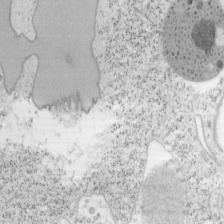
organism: Mouse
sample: OT-I killer T cells with ID8 ovarian cancer cells